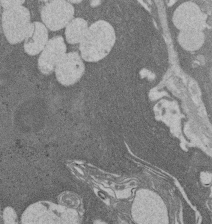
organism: Rat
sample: Salivary granule